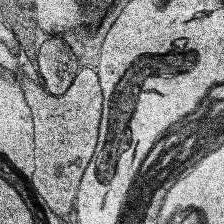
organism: Human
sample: Temporal Lobe